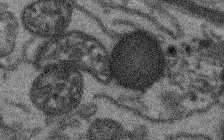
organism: Arabidopsis thaliana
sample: Root tip